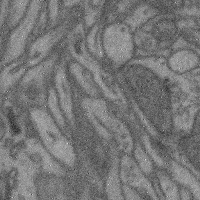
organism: Mouse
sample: Cerebral cortex